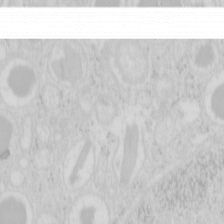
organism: Mouse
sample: Pancreas